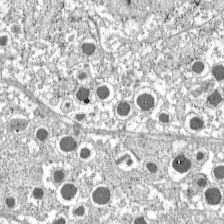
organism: C57BL Mouse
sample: Pancreatic islet